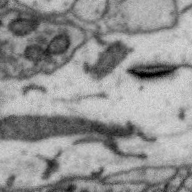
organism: Zebra finch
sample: Brain